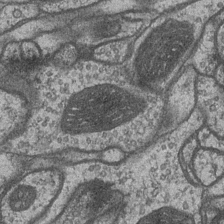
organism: Drosophila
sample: Optic medulla